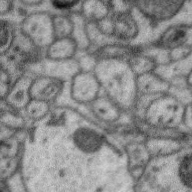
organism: Zebra finch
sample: Brain